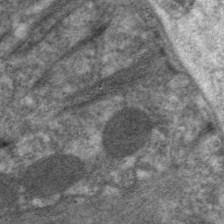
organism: C. elegans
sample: Pharynx